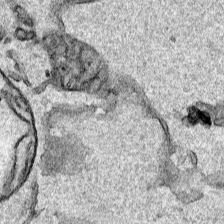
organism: Human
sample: Mitochondria in HCT116 cells